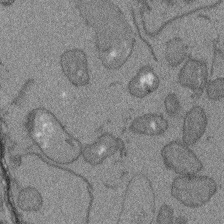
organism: Arabidopsis thaliana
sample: Root tip